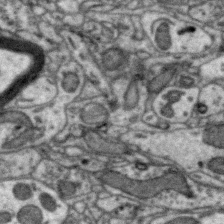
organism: Zebra finch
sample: Brain